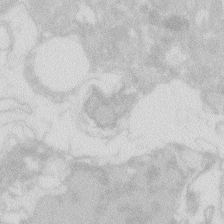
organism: Zebrafish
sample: Macrophage